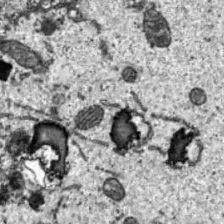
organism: Human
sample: HeLa cells